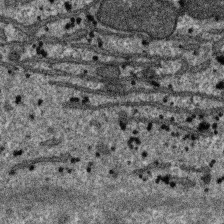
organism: Human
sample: Lung epithelial cells infected with SARS-CoV-2